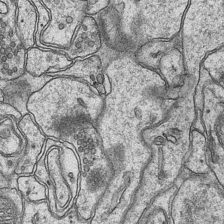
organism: Mouse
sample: CA1 Hippocampus